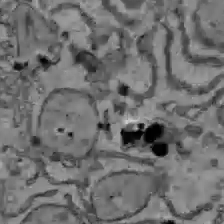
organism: C57BL Mouse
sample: Liver